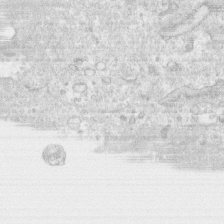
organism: Human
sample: CRL-1474